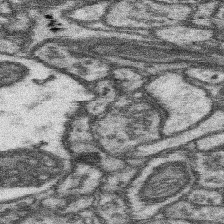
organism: Mouse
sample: Somatosensory cortex neuropil